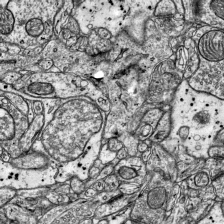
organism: Mouse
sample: Visual Cortex